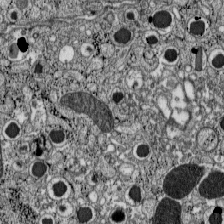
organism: C57BL Mouse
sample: Pancreatic islet